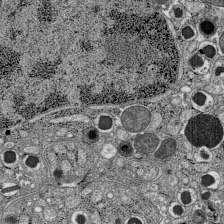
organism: C57BL Mouse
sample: Pancreatic islet